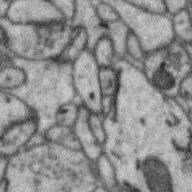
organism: Zebra finch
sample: Brain